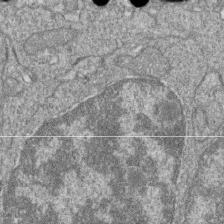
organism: Zebrafish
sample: Cilia; retinal pigment epithelium